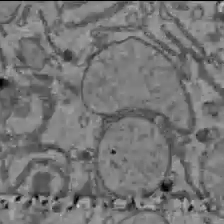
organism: C57BL Mouse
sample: Liver